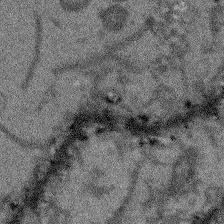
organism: Arabidopsis thaliana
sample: Root tip